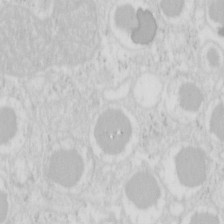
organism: Mouse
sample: Pancreas